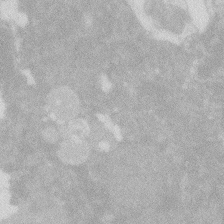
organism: Zebrafish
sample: Macrophage